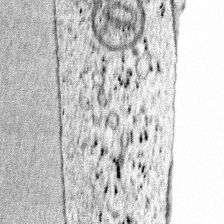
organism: Human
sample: HeLa cells